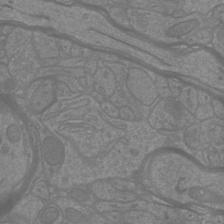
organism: Mouse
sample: Cortical neurons